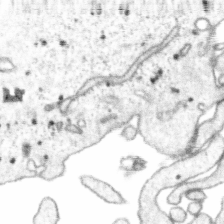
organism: Human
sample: HeLa cells